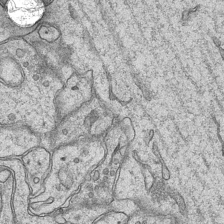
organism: Mouse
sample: CA1 Hippocampus